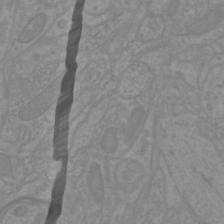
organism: Mouse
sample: Cortical neurons